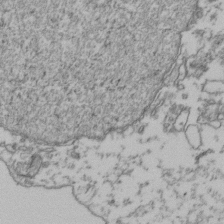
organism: Human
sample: Activated Jurkat CD4+ T cells